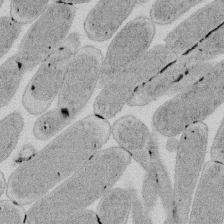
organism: E. coli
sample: Bacterial nucleoid